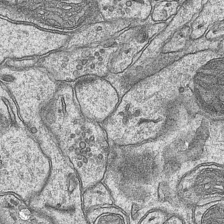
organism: Mouse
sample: CA1 Hippocampus